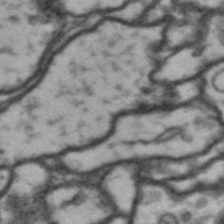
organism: Drosophila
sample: Brain